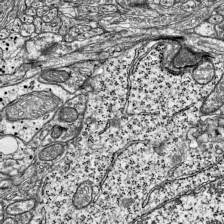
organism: Mouse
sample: Visual Cortex